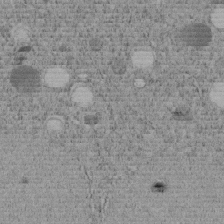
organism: C. elegans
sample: C. elegans embryo early stage